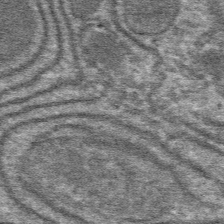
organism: Mouse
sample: Mouse hepatocytes